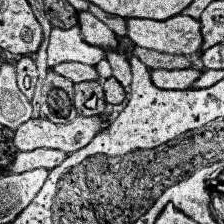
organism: Human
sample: Temporal Lobe